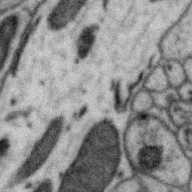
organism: Zebra finch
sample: Brain